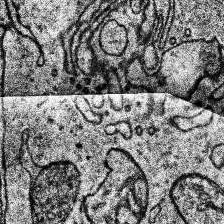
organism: Human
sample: Temporal Lobe